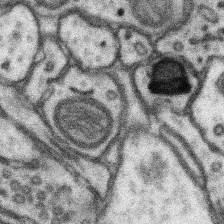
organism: Mouse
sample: Somatosensory cortex neuropil